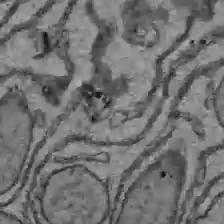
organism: C57BL Mouse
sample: Liver